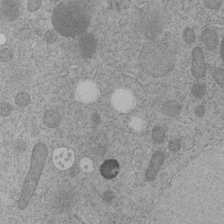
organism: C. elegans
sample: C. elegans embryo early stage